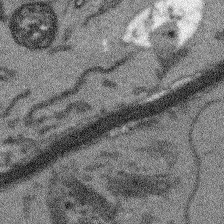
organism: Arabidopsis thaliana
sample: Root tip